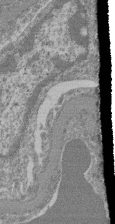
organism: Mouse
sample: Glomerulus